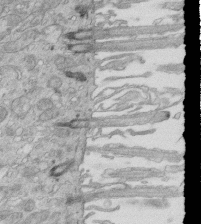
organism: Mouse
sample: Multiciliated cells